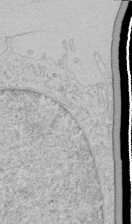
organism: Human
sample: Mitochondria in HCT116 cells